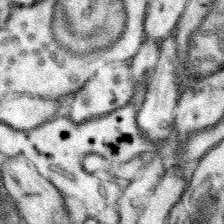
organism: Mouse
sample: Somatosensory cortex neuropil